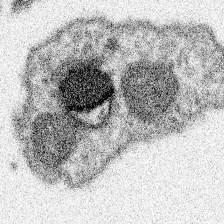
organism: Spongilla lacustris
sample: Neuroid cell